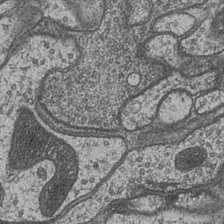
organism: Drosophila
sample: Optic medulla